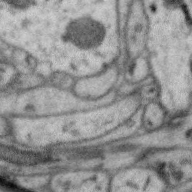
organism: Zebra finch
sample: Brain